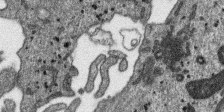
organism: Human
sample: Lung epithelial cells infected with SARS-CoV-2